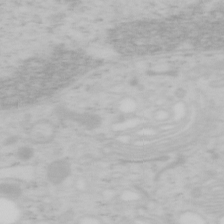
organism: Mouse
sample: OT-I killer T cells with ID8 ovarian cancer cells